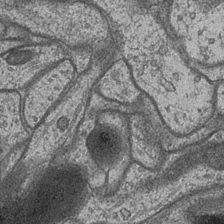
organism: Drosophila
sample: Optic medulla